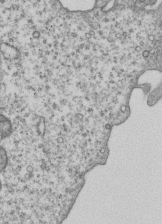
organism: Human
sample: MDA-MB-231 cells